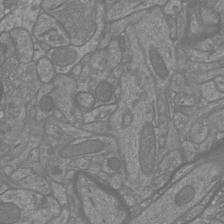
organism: Mouse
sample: Cortical neurons